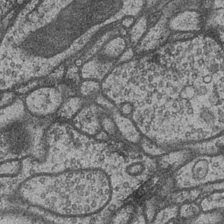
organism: Drosophila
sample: Optic medulla